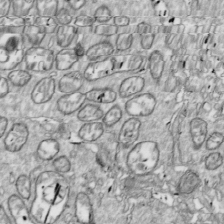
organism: Drosophila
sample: Cell division; meiosis; drosophila spermatocytes